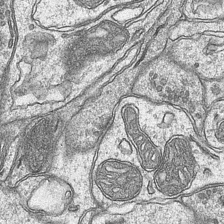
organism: Mouse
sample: CA1 Hippocampus